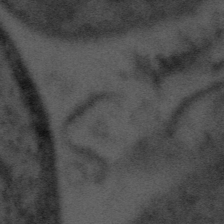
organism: Tuwongella immobilis